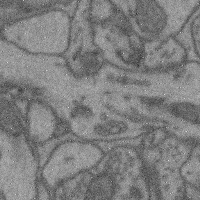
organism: Mouse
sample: Cerebral cortex